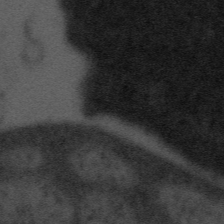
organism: Tuwongella immobilis